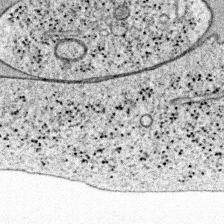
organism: Human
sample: HeLa cells